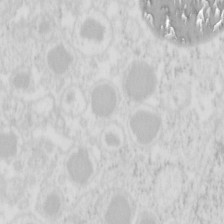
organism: Mouse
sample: Pancreas